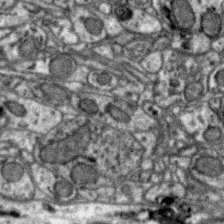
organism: Zebra finch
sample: Brain